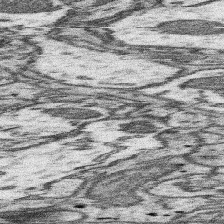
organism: Mouse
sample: Somatosensory cortex neuropil